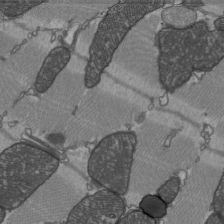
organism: C57BL Mouse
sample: Heart